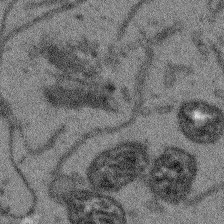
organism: Arabidopsis thaliana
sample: Root tip